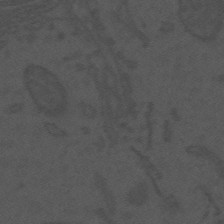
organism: Mouse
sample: Suprachiasmatic nucleus